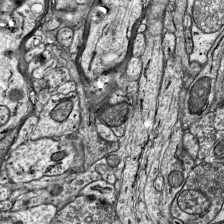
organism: Mouse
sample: Visual Cortex